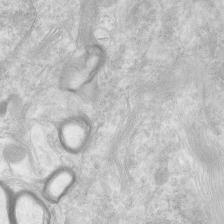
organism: Human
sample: Neocortex